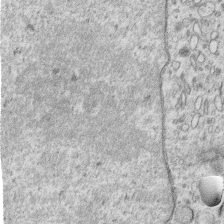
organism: Human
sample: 1205lu cells